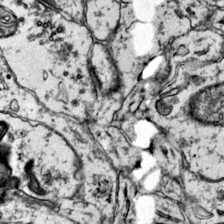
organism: Mouse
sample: Primary visual cortex